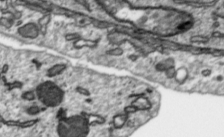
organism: Toxoplasma gondii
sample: Parasites in a vacuole inside a host cell